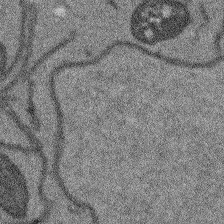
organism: Arabidopsis thaliana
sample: Root tip